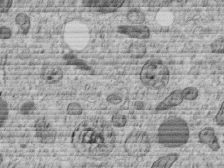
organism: C. elegans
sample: C. elegans embryo early stage